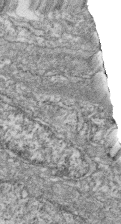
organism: Zebrafish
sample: Cilia; retinal pigment epithelium